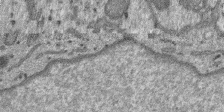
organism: Human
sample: Lung epithelial cells infected with SARS-CoV-2